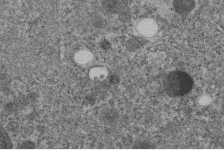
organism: C. elegans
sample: C. elegans embryo early stage